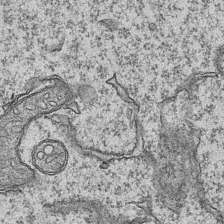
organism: Mouse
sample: CA1 Hippocampus